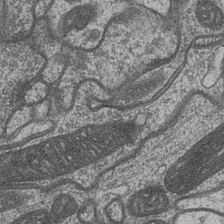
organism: Drosophila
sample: Optic medulla